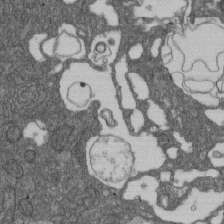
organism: Drosophila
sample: Nephrocyte